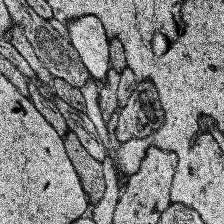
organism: Human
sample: Temporal Lobe